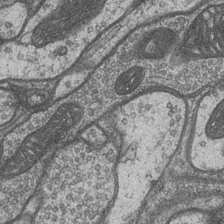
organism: Drosophila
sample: Optic medulla